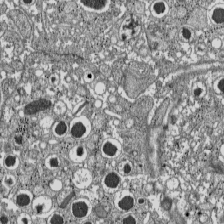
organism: C57BL Mouse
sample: Pancreatic islet